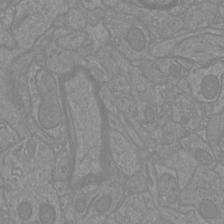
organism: Mouse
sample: Cortical neurons